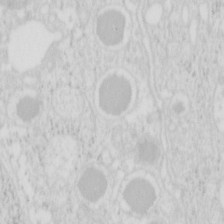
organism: Mouse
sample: Pancreas